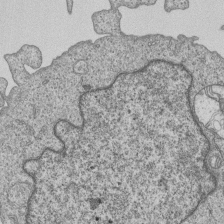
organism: Human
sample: MDA-MB-231 cells